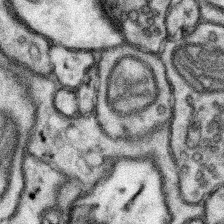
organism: Mouse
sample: Somatosensory cortex neuropil